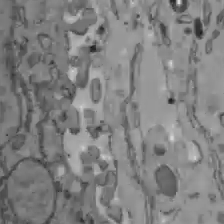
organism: C57BL Mouse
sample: Liver